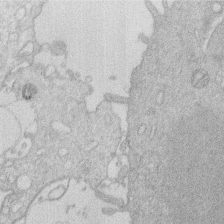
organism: Human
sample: Macrophage cells